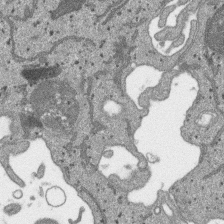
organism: Human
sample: Lung epithelial cells infected with SARS-CoV-2